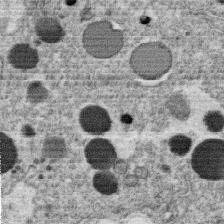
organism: C. elegans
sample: C. elegans oocyte; sperm cells